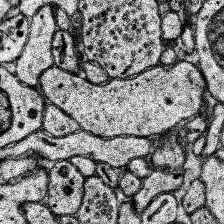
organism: Human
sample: Temporal Lobe